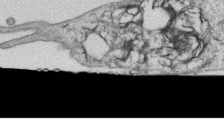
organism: Human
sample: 1205lu cells